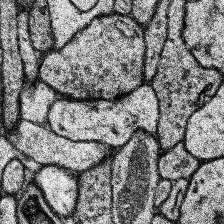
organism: Human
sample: Temporal Lobe